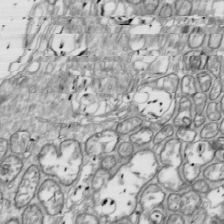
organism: Drosophila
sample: Cell division; meiosis; drosophila spermatocytes